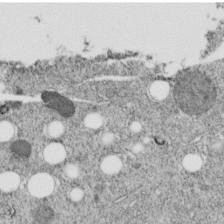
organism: C. elegans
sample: C. elegans embryo early stage